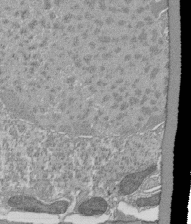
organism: Tetrahymena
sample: Cilia in tetrahymena